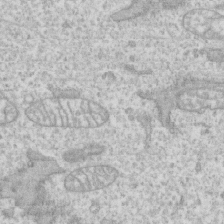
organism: Human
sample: CRL-1474